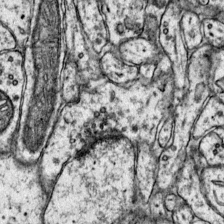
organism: Mouse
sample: Primary visual cortex